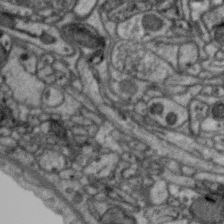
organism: Zebra finch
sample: Brain